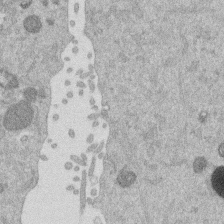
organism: Mouse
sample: Dividing mouse embryo 1 cell stage